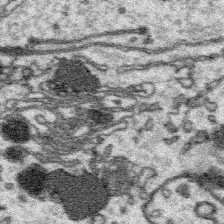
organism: Platynereis dumerilii